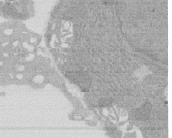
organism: Rat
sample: Salivary granule